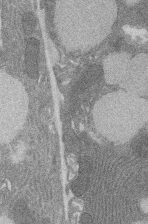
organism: Rat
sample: Salivary granule